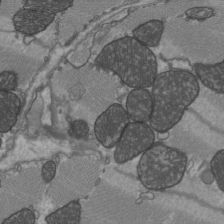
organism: C57BL Mouse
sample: Heart